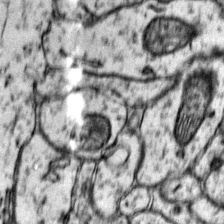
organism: Mouse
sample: Primary visual cortex